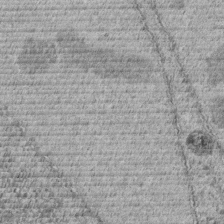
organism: C. elegans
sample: C. elegans embryo early stage